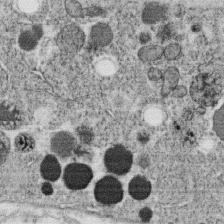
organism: C. elegans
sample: C. elegans oocyte; sperm cells